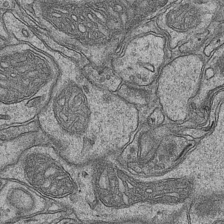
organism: Mouse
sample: CA1 Hippocampus